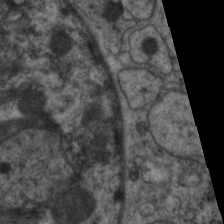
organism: C. elegans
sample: Pharynx